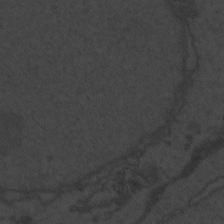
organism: Zebrafish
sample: Macrophage infected with Toxoplasma gondii